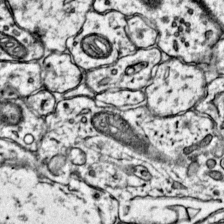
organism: Mouse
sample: Primary visual cortex